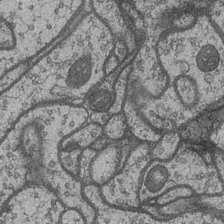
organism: Drosophila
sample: Optic medulla